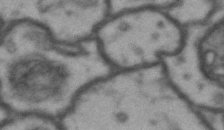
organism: Drosophila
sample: Brain